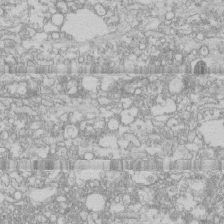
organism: Human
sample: CRL-1474